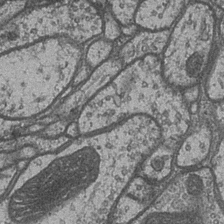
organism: Drosophila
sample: Optic medulla